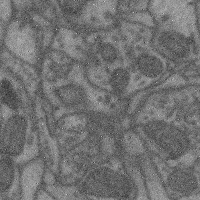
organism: Mouse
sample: Cerebral cortex